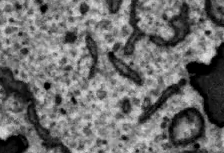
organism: Human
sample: HeLa cells